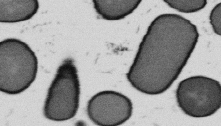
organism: B. subtilis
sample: Bacterial spore